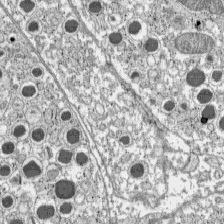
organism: C57BL Mouse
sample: Pancreatic islet